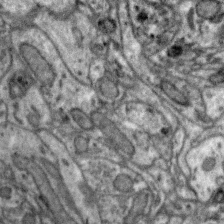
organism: Zebra finch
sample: Brain